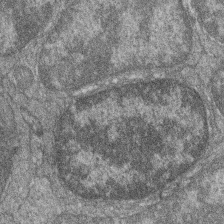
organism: Zebrafish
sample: Cilia; retinal pigment epithelium